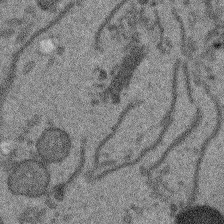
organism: Arabidopsis thaliana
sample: Root tip